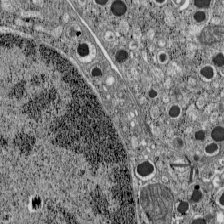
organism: C57BL Mouse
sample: Pancreatic islet